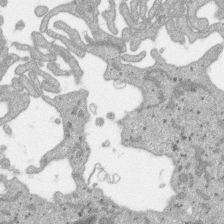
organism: Human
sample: Lung epithelial cells infected with SARS-CoV-2